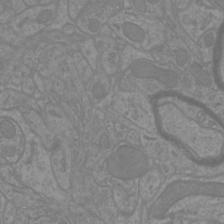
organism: Mouse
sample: Cortical neurons